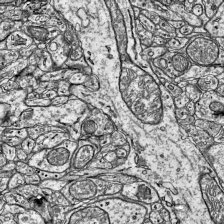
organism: Mouse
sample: Visual Cortex